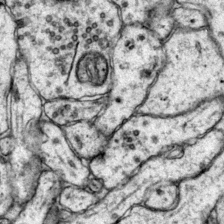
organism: Mouse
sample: Primary visual cortex